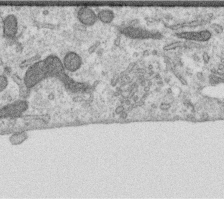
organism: Human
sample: Centriole in RPE cells